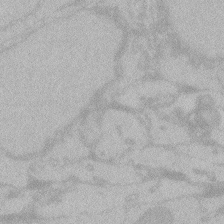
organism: Zebrafish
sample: Macrophage infected with Toxoplasma gondii